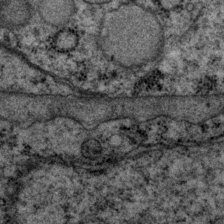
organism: P. pacificus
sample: Pharynx